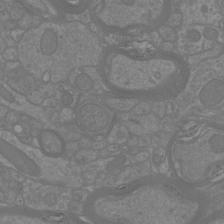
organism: Mouse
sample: Cortical neurons